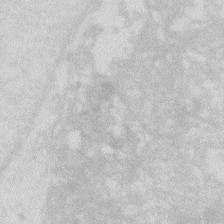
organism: Zebrafish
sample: Macrophage